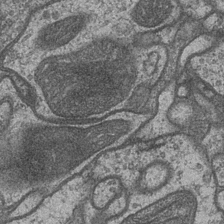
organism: Drosophila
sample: Optic medulla